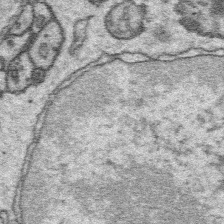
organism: Platynereis dumerilii